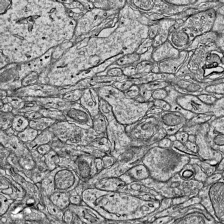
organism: Mouse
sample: Visual Cortex